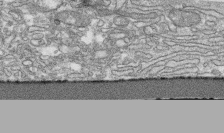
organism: Human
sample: CRL-1474